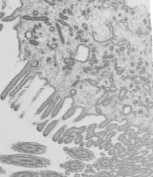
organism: Mouse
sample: Mouse epididymis efferent ductule cilia